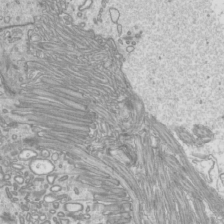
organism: Mouse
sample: Cilia; mouse epididymis